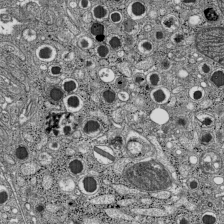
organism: C57BL Mouse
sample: Pancreatic islet